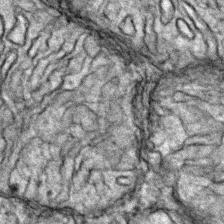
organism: Zebrafish